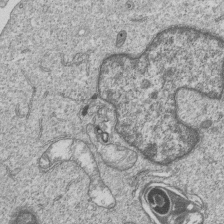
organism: Human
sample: MDA-MB-231 cells